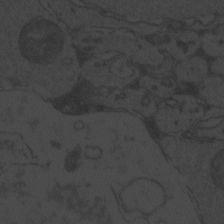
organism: Zebrafish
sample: Macrophage infected with Toxoplasma gondii